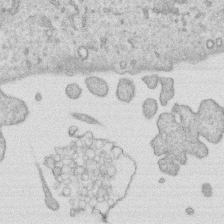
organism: Human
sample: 1205lu cells